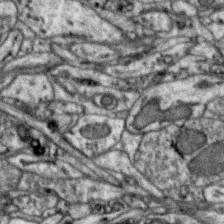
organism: Zebra finch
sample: Brain